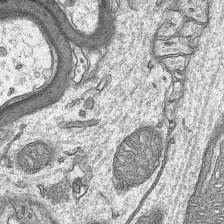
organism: Mouse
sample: CA1 Hippocampus